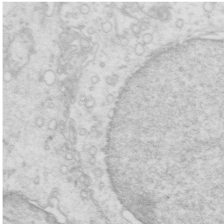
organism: Mouse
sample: Multiciliated cells